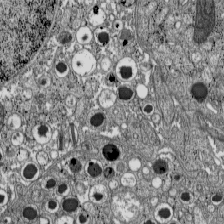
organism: C57BL Mouse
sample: Pancreatic islet